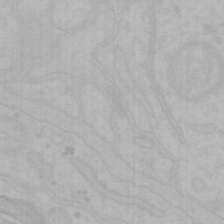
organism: Mouse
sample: Choroid plexus